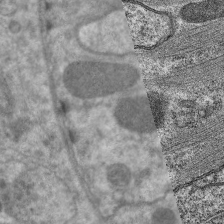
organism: C. elegans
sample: Pharynx